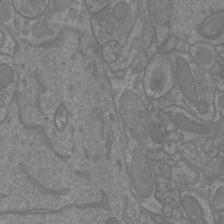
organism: Mouse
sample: Cortical neurons